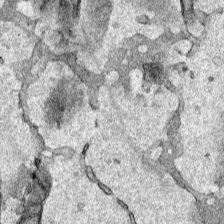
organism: Human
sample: Mitochondria in HCT116 cells